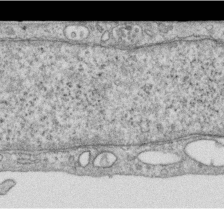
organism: Human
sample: Centriole in RPE cells